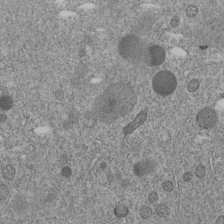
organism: C. elegans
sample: C. elegans embryo early stage